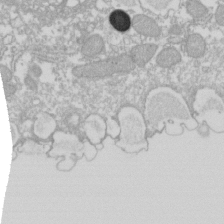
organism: Xenopus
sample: Cilia; centrioles in frog embryo cells